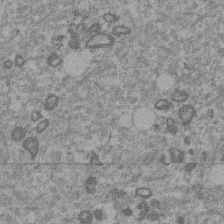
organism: Mouse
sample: Dividing mouse embryo 1 cell stage